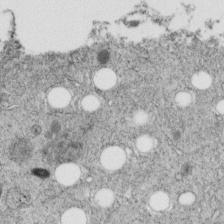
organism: C. elegans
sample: C. elegans embryo early stage